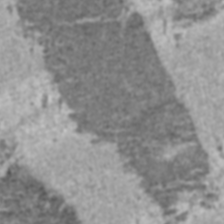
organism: C57BL Mouse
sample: Heart